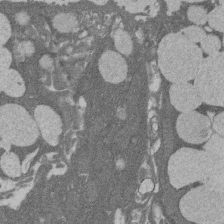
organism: Rat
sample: Salivary granule